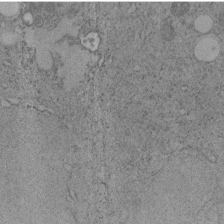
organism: C. elegans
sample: C. elegans embryo early stage